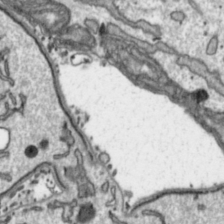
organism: Toxoplasma gondii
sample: Parasites in a vacuole inside a host cell